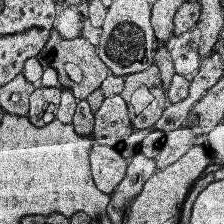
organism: Human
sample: Temporal Lobe